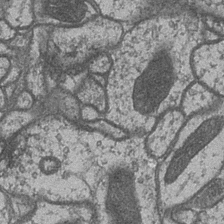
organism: Drosophila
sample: Optic medulla